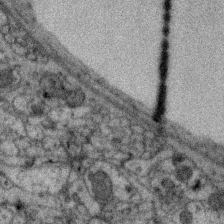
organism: Zebra finch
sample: Brain